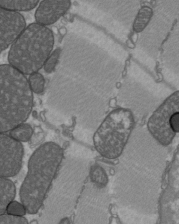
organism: C57BL Mouse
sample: Heart